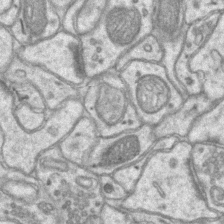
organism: Mouse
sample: CA1 Hippocampus